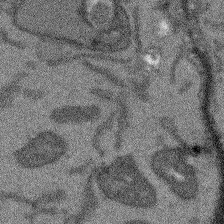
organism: Arabidopsis thaliana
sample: Root tip